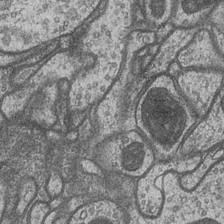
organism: Drosophila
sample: Optic medulla